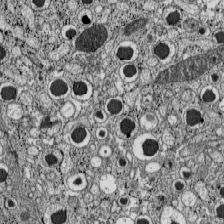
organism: C57BL Mouse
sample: Pancreatic islet